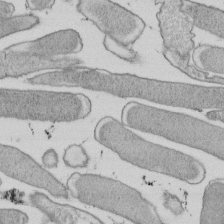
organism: E. coli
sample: Bacterial nucleoid